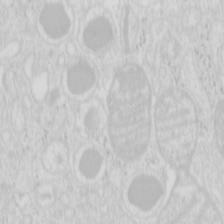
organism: Mouse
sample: Pancreas